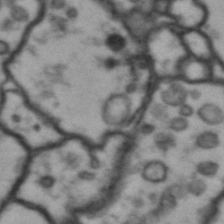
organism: Drosophila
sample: Brain